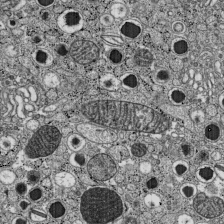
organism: C57BL Mouse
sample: Pancreatic islet